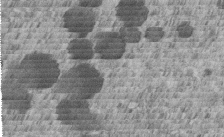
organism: C. elegans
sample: C. elegans embryo early stage